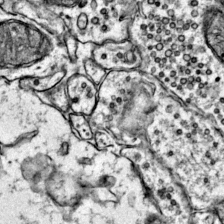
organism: Mouse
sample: Primary visual cortex